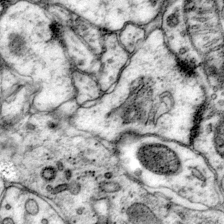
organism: Mouse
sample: Primary visual cortex